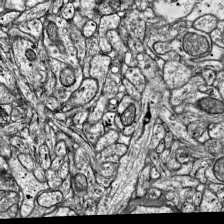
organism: Mouse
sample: Visual Cortex